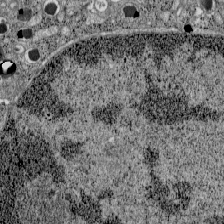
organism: C57BL Mouse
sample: Pancreatic islet